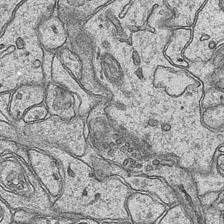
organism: Mouse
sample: CA1 Hippocampus